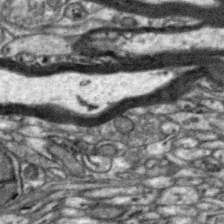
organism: Zebra finch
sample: Brain